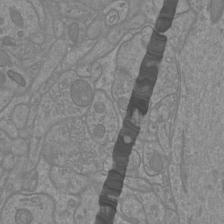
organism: Mouse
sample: Cortical neurons